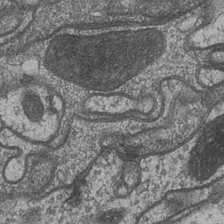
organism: Drosophila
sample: Optic medulla